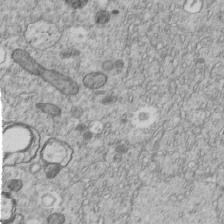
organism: C. elegans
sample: C. elegans embryo early stage